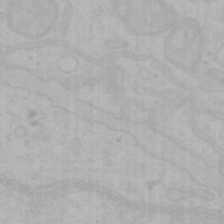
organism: Mouse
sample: Choroid plexus